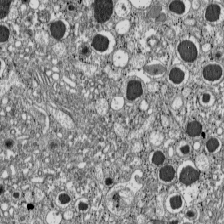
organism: C57BL Mouse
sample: Pancreatic islet